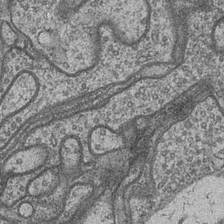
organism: Drosophila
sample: Optic medulla